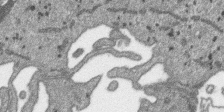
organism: Human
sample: Lung epithelial cells infected with SARS-CoV-2